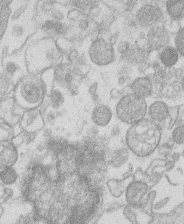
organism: Human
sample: Macrophage cells